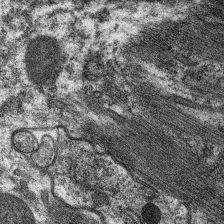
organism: C. elegans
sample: Pharynx